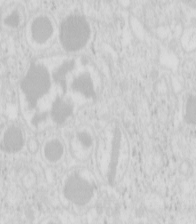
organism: Mouse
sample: Pancreas